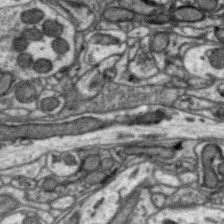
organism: Zebra finch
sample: Brain